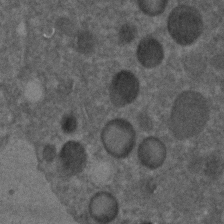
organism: C. elegans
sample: C. elegans embryo